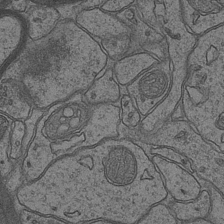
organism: Mouse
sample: CA1 Hippocampus